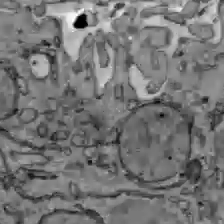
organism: C57BL Mouse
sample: Liver